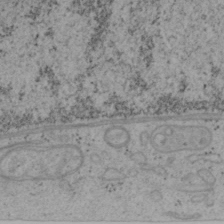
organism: Human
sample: HeLa cells